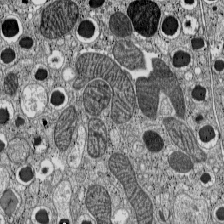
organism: C57BL Mouse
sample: Pancreatic islet